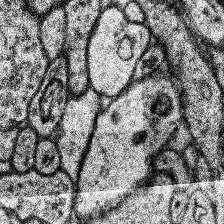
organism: Human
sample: Temporal Lobe